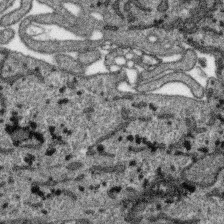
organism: Human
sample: Lung epithelial cells infected with SARS-CoV-2